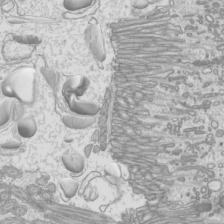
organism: Mouse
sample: Cilia; mouse epididymis